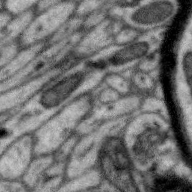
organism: Zebra finch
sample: Brain